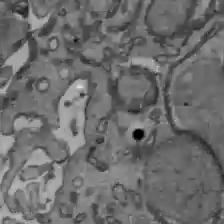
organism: C57BL Mouse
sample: Liver